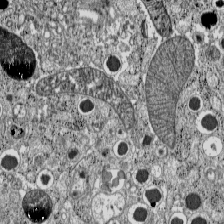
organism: C57BL Mouse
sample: Pancreatic islet